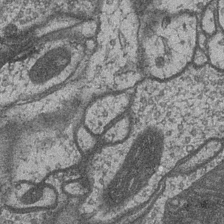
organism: Drosophila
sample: Optic medulla